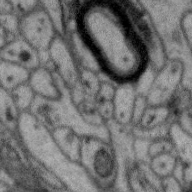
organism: Zebra finch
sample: Brain